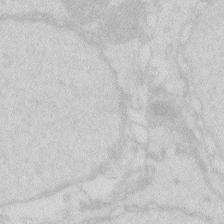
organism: Zebrafish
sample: Macrophage